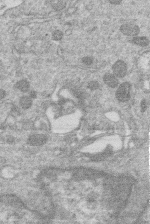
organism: Human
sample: Macrophage cells